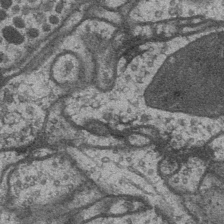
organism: Drosophila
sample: Optic medulla